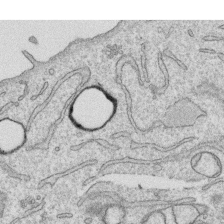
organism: Human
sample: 1205lu cells